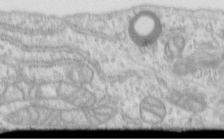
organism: Human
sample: Centriole in RPE cells